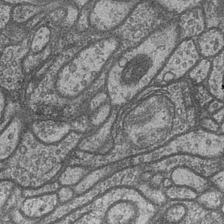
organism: Drosophila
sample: Optic medulla